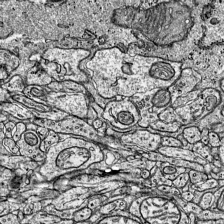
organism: Mouse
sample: Visual Cortex